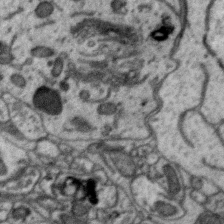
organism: Zebra finch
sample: Brain